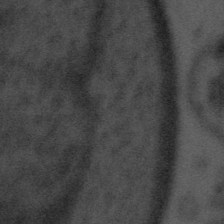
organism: Tuwongella immobilis